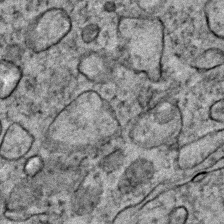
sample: Trachea